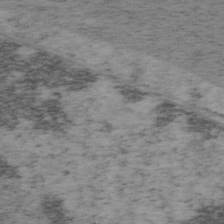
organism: Mouse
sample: OT-I killer T cells with ID8 ovarian cancer cells